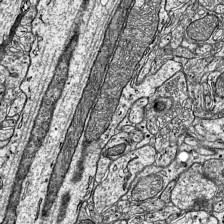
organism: Mouse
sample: Visual Cortex